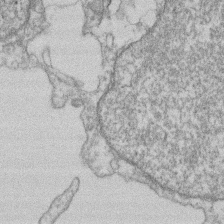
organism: Mouse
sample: T cell stromal cell synapse